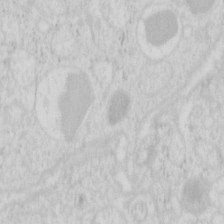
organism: Mouse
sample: Pancreas